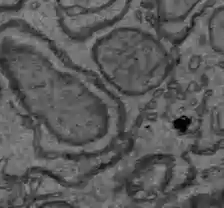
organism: C57BL Mouse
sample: Liver